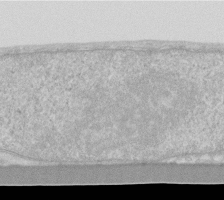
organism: Human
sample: Fibroblast cells